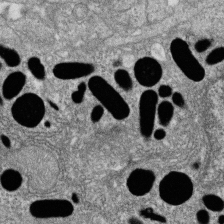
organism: Zebrafish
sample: Cilia; retinal pigment epithelium